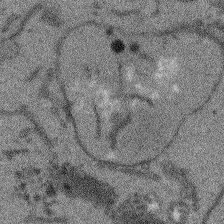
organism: Arabidopsis thaliana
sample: Root tip